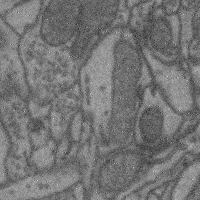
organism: Mouse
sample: Cerebral cortex